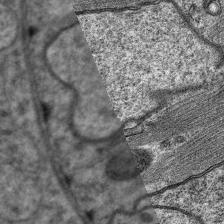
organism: C. elegans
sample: Pharynx